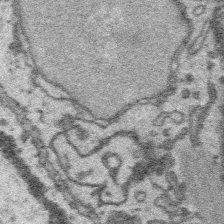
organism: Platynereis dumerilii